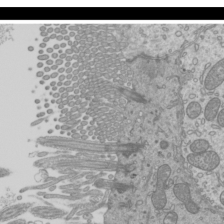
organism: Mouse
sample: Cilia; mouse epididymis